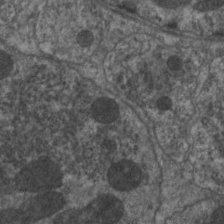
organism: C. elegans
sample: Pharynx